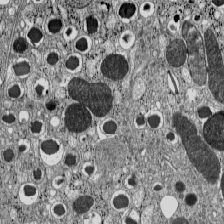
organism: C57BL Mouse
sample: Pancreatic islet